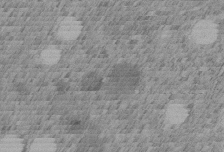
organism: C. elegans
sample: C. elegans embryo early stage